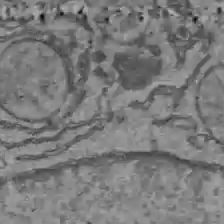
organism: C57BL Mouse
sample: Liver